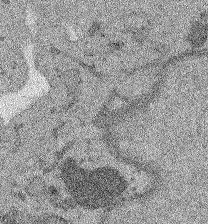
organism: Human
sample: HeLa cells